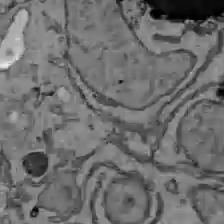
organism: C57BL Mouse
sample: Liver